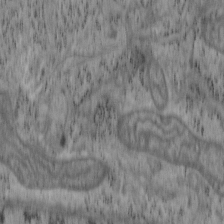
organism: Human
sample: HeLa cells